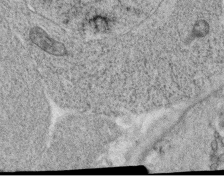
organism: C. elegans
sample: C. elegans oocyte; sperm cells